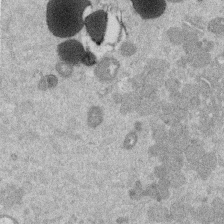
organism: Mouse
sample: Dividing mouse embryo 1 cell stage